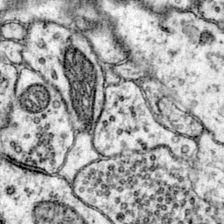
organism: Mouse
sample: Primary visual cortex